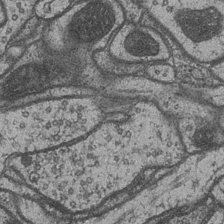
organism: Drosophila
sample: Optic medulla